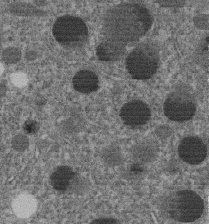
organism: C. elegans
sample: C. elegans embryo early stage